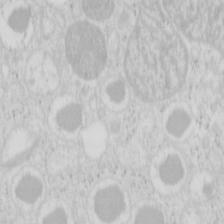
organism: Mouse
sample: Pancreas